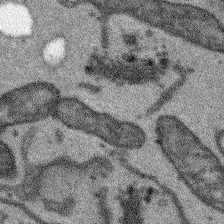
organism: Arabidopsis thaliana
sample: Root tip